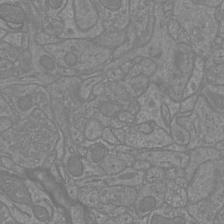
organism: Mouse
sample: Cortical neurons